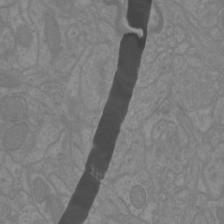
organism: Mouse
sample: Cortical neurons